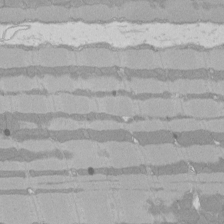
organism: Rat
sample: Left ventricle